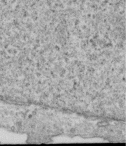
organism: Human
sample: Centriole in RPE cells